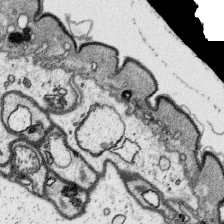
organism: Platynereis dumerilii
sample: Parapodia